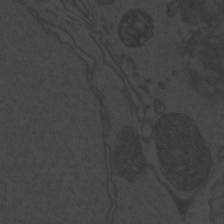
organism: Zebrafish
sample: Macrophage infected with Toxoplasma gondii